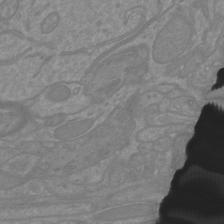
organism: Mouse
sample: Cortical neurons